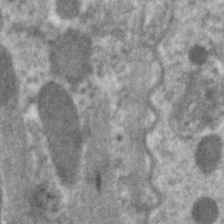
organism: C. elegans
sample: Pharynx